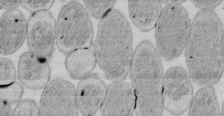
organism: E. coli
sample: Bacterial nucleoid